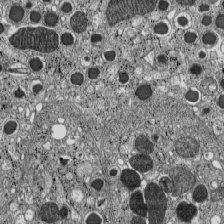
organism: C57BL Mouse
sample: Pancreatic islet